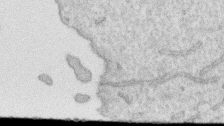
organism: Human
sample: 1205lu cells